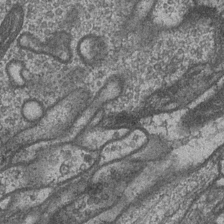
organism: Drosophila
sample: Optic medulla